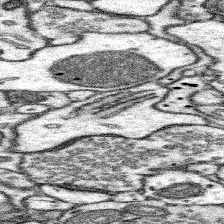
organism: Mouse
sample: Somatosensory cortex neuropil